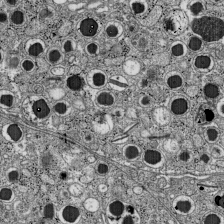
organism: C57BL Mouse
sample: Pancreatic islet